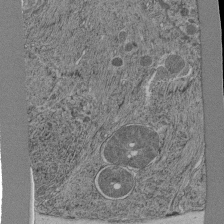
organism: C. elegans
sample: C. elegans pharynx